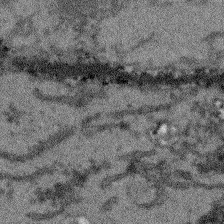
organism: Arabidopsis thaliana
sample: Root tip